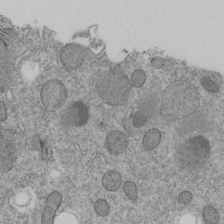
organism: C. elegans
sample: C. elegans embryo early stage